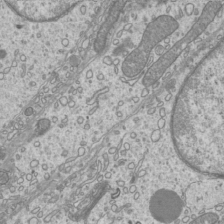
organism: Mouse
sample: Cilia; mouse epididymis